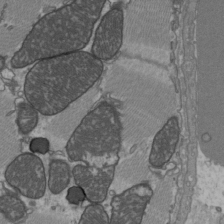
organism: C57BL Mouse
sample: Heart